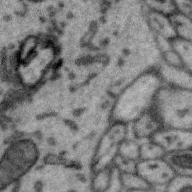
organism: Zebra finch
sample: Brain